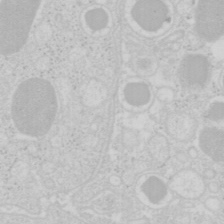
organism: Mouse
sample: Pancreas